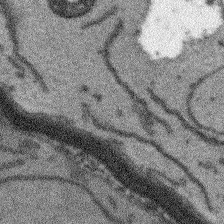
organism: Arabidopsis thaliana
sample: Root tip